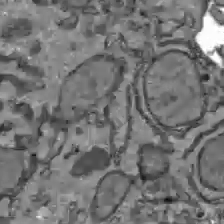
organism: C57BL Mouse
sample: Liver